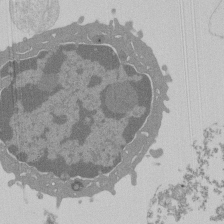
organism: Mouse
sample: Activated Pmel transgenic CD8+ T Cells